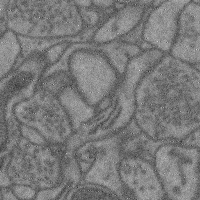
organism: Mouse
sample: Cerebral cortex